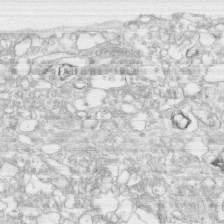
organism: Human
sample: CRL-1474